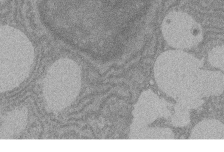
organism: Rat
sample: Salivary granule